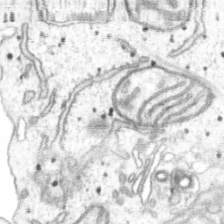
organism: Human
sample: HeLa cells